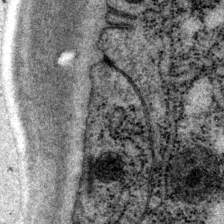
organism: P. pacificus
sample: Pharynx